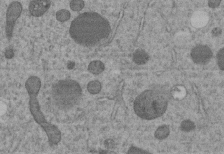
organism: C. elegans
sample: C. elegans embryo early stage